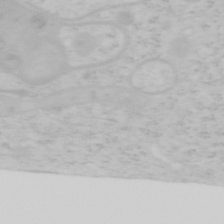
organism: Mouse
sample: OT-I killer T cells with ID8 ovarian cancer cells